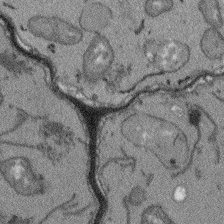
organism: Arabidopsis thaliana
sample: Root tip